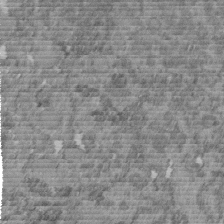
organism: C. elegans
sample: C. elegans embryo early stage